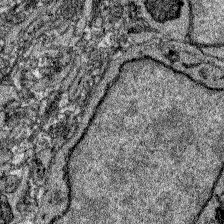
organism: Zebrafish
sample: Larval olfactory bulb